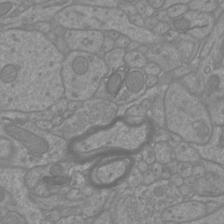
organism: Mouse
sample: Cortical neurons